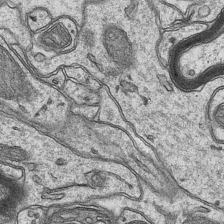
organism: Mouse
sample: CA1 Hippocampus